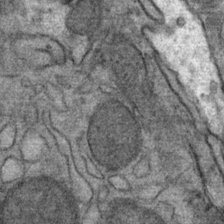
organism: Mouse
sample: Mouse Salivary gland